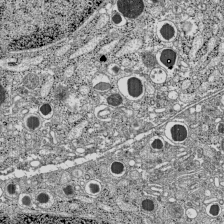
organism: C57BL Mouse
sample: Pancreatic islet